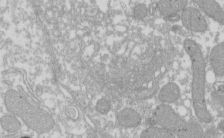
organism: Xenopus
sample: Cilia; centrioles in frog embryo cells